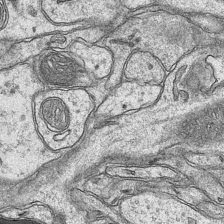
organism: Mouse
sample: CA1 Hippocampus